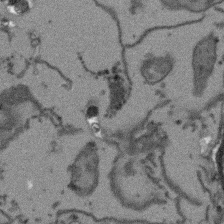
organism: Arabidopsis thaliana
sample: Root tip